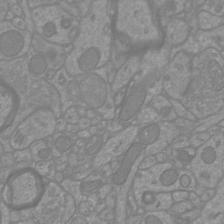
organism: Mouse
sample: Cortical neurons